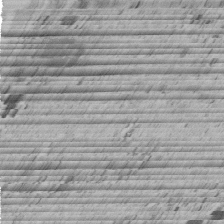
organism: C. elegans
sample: C. elegans embryo early stage